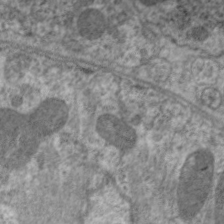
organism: C. elegans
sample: Pharynx